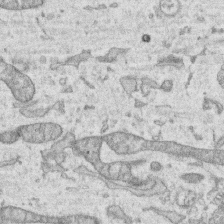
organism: Human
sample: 1205lu cells